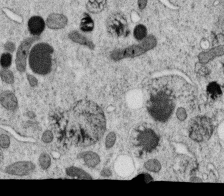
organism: C. elegans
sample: C. elegans oocyte; sperm cells